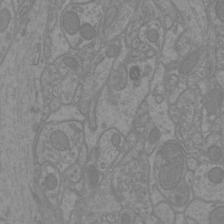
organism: Mouse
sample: Cortical neurons